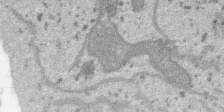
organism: Human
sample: Lung epithelial cells infected with SARS-CoV-2